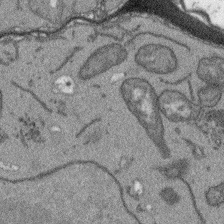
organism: Arabidopsis thaliana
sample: Root tip